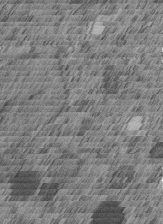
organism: C. elegans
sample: C. elegans embryo early stage